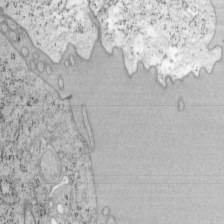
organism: Mouse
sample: OT-I killer T cells with ID8 ovarian cancer cells